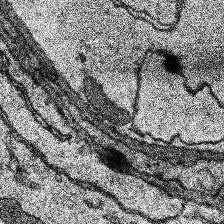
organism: Human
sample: Temporal Lobe